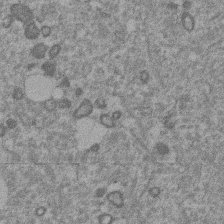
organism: Mouse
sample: Dividing mouse embryo 1 cell stage